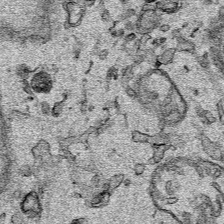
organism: Human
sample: Mitochondria in HCT116 cells